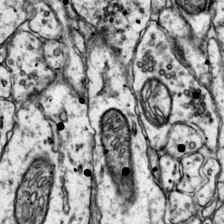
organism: Mouse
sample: Primary visual cortex